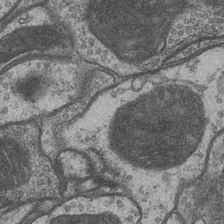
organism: Drosophila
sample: Optic medulla